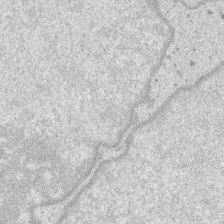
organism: Human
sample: Lung epithelial cells infected with SARS-CoV-2